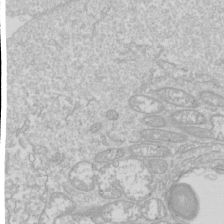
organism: Drosophila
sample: Cell division; meiosis; drosophila spermatocytes